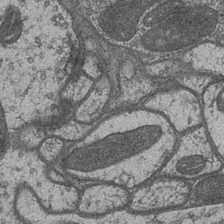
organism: Drosophila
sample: Optic medulla